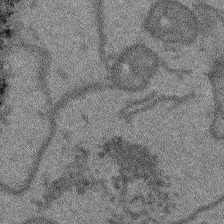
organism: Arabidopsis thaliana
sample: Root tip